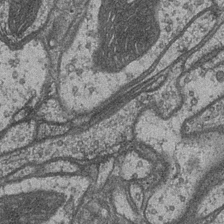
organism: Drosophila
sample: Optic medulla